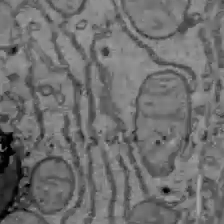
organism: C57BL Mouse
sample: Liver